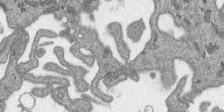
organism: Human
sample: Lung epithelial cells infected with SARS-CoV-2